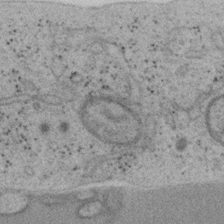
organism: Human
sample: HeLa cells